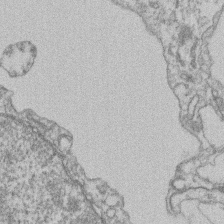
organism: Mouse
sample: T cell stromal cell synapse